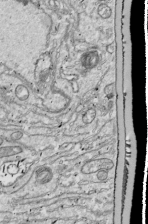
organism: Drosophila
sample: Cell division; meiosis; drosophila spermatocytes